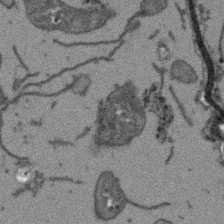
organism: Arabidopsis thaliana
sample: Root tip